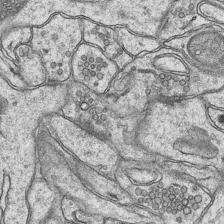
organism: Mouse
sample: CA1 Hippocampus